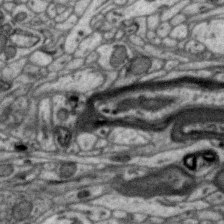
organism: Zebra finch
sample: Brain